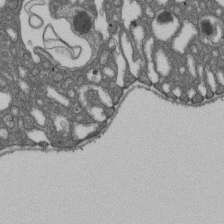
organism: Drosophila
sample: Nephrocyte